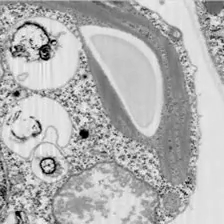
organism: Chlamydomonas reinhardtii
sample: Whole Cell